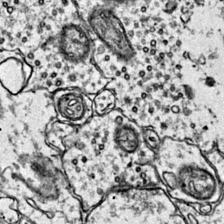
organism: Mouse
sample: Primary visual cortex